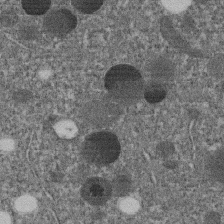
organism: C. elegans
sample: C. elegans embryo early stage